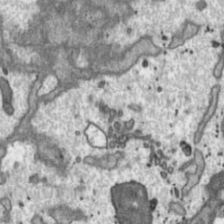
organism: Toxoplasma gondii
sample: Parasites in a vacuole inside a host cell